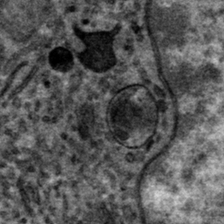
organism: Mouse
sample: Mouse hepatocytes